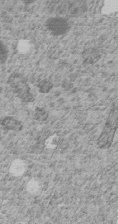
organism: C. elegans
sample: C. elegans embryo early stage